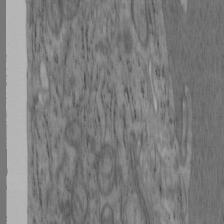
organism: Human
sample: HeLa cells